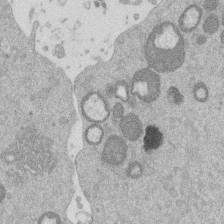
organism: Mouse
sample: Dividing mouse embryo 1 cell stage